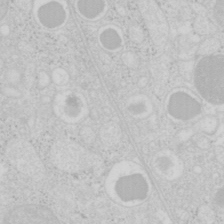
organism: Mouse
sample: Pancreas